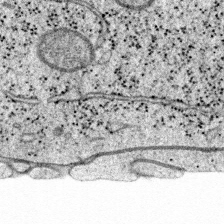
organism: Human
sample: HeLa cells